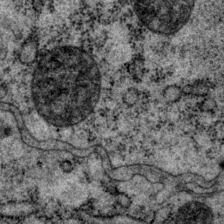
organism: P. pacificus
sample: Pharynx